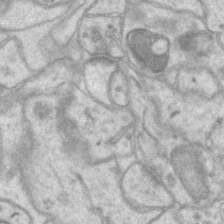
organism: Mouse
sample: CA1 Hippocampus